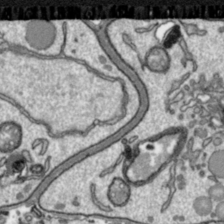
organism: Toxoplasma gondii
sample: Parasites in a vacuole inside a host cell